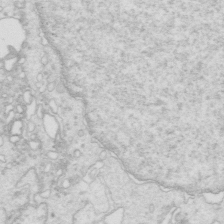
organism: Mouse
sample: Multiciliated cells